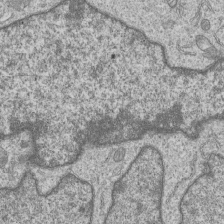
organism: Human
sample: MDA-MB-231 cells